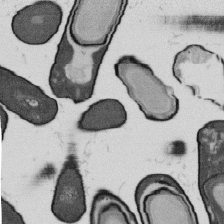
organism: B. subtilis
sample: Bacterial spore